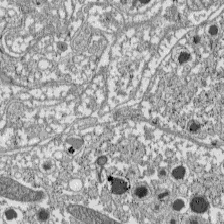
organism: C57BL Mouse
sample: Pancreatic islet